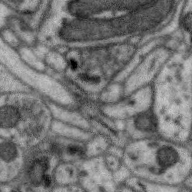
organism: Zebra finch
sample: Brain